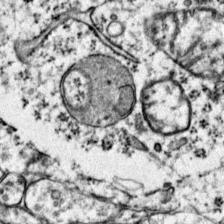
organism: Mouse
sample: Primary visual cortex